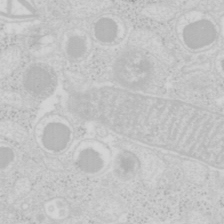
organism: Mouse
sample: Pancreas